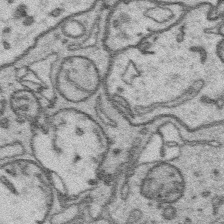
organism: Platynereis dumerilii